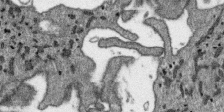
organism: Human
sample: Lung epithelial cells, uninfected (mock) control